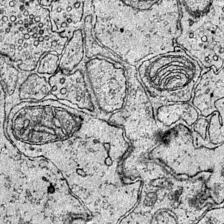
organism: Mouse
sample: Primary visual cortex